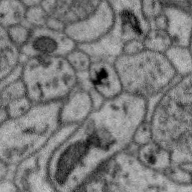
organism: Zebra finch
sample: Brain